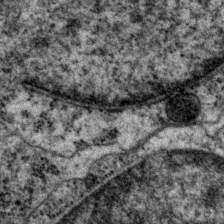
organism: P. pacificus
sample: Pharynx